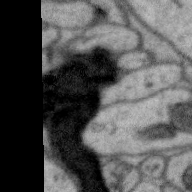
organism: Zebra finch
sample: Brain